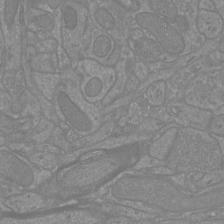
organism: Mouse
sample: Cortical neurons